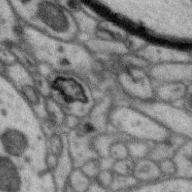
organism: Zebra finch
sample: Brain